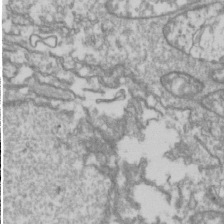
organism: Drosophila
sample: Cell division; meiosis; drosophila spermatocytes